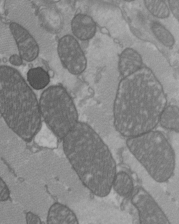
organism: C57BL Mouse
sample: Heart